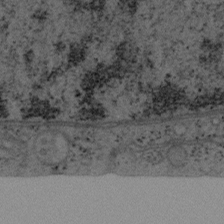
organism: Human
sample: HeLa cells